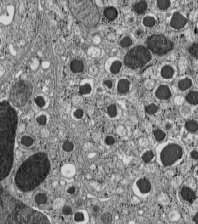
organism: C57BL Mouse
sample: Pancreatic islet